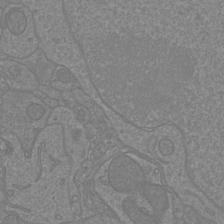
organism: Mouse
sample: Cortical neurons